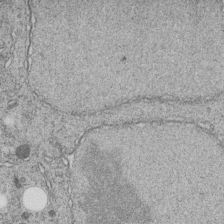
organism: C. elegans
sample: C. elegans embryo early stage